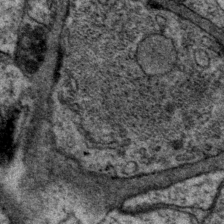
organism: P. pacificus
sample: Pharynx